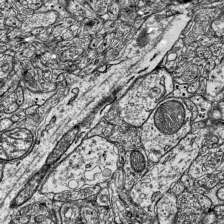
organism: Mouse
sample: Visual Cortex